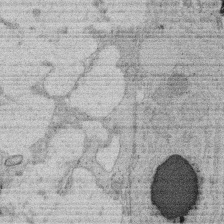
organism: Rat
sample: Salivary granule